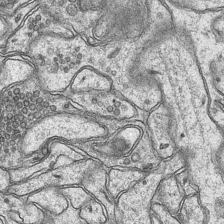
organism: Mouse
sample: CA1 Hippocampus